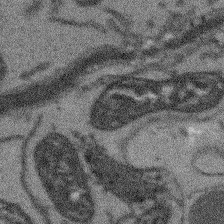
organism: Arabidopsis thaliana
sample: Root tip